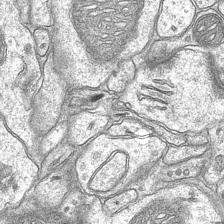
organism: Mouse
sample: CA1 Hippocampus